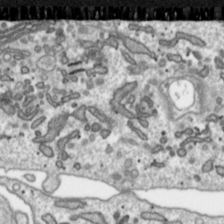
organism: Toxoplasma gondii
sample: Parasites in a vacuole inside a host cell